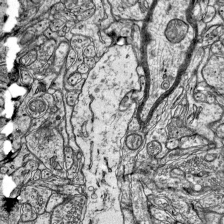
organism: Mouse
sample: Visual Cortex